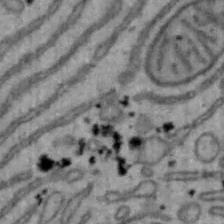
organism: Mouse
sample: Liver